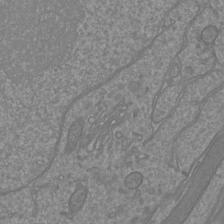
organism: Mouse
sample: Cortical neurons